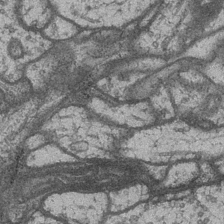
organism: Drosophila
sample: Optic medulla